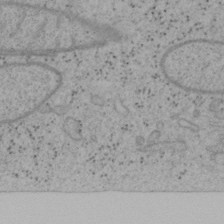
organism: Human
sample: HeLa cells